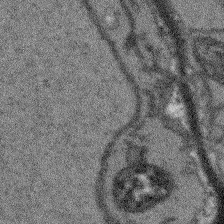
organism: Arabidopsis thaliana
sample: Root tip